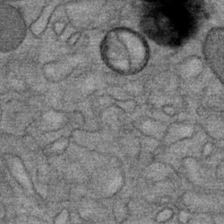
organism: Mouse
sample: Mouse Salivary gland